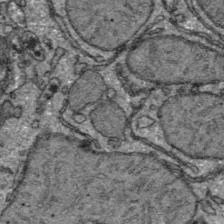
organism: C57BL Mouse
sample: Liver